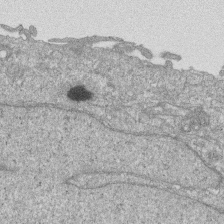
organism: Human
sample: HeLa cell HIV synapse